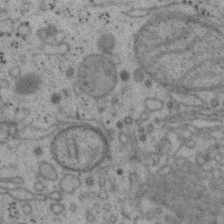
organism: Human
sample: HeLa cells